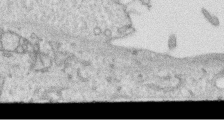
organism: Human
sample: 1205lu cells